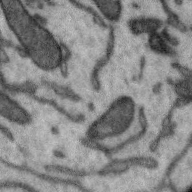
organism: Zebra finch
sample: Brain